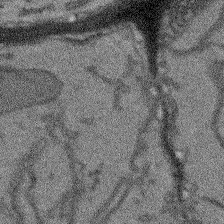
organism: Arabidopsis thaliana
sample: Root tip